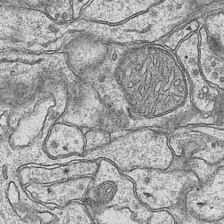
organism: Mouse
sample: CA1 Hippocampus